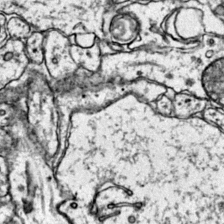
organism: Mouse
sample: Primary visual cortex